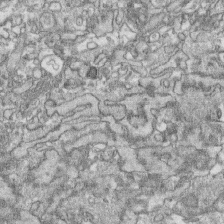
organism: Human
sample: CRL-1474